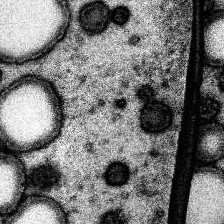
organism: Human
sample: Temporal Lobe